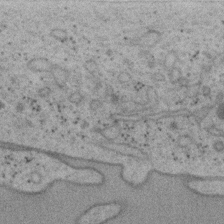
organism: Human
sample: HeLa cells